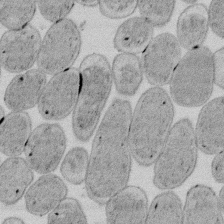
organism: E. coli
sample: Bacterial nucleoid